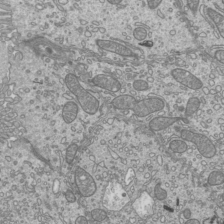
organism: Mouse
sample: Cilia; mouse epididymis